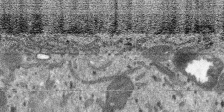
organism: Human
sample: Lung epithelial cells infected with SARS-CoV-2